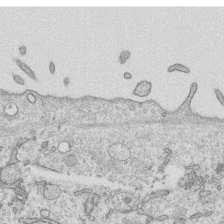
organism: Human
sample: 1205lu cells